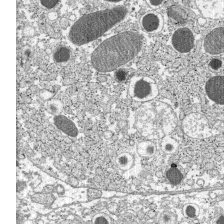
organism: C57BL Mouse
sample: Pancreatic islet